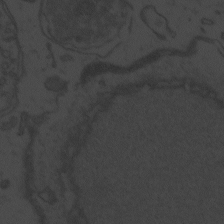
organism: Zebrafish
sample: Macrophage infected with Toxoplasma gondii